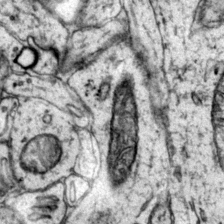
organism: Mouse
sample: Primary visual cortex